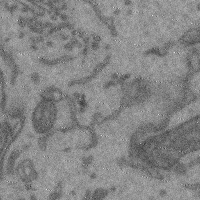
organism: Mouse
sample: Cerebral cortex